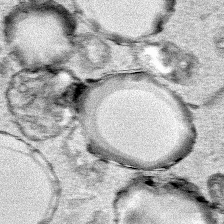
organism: Human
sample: Mitochondria in HCT116 cells